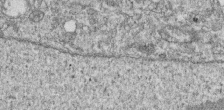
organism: Human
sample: HeLa cell HIV synapse